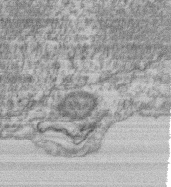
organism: Mouse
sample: T cell stromal cell synapse